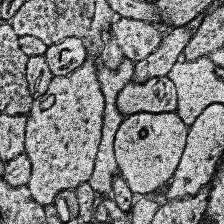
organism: Human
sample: Temporal Lobe